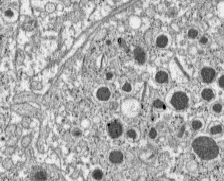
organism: C57BL Mouse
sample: Pancreatic islet